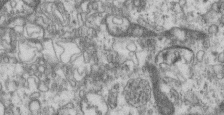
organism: Mouse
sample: Centriole in ependymal cells